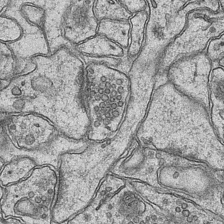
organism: Mouse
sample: CA1 Hippocampus